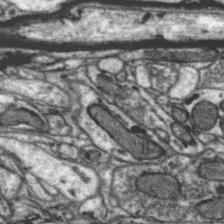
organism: Zebra finch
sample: Brain